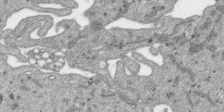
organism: Human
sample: Lung epithelial cells infected with SARS-CoV-2